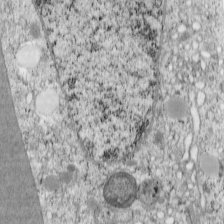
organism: African green monkey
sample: COS-7 cells